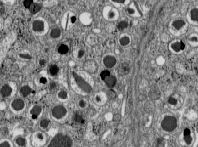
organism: C57BL Mouse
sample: Pancreatic islet